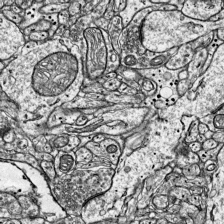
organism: Mouse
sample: Visual Cortex